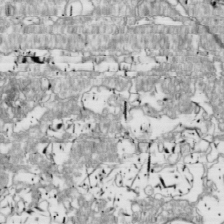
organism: Drosophila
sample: Cell division; meiosis; drosophila spermatocytes